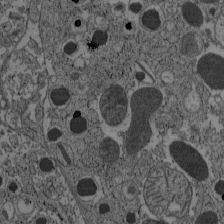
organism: C57BL Mouse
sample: Pancreatic islet